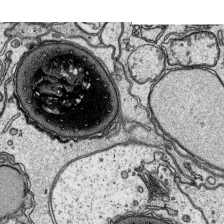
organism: Platynereis dumerilii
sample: Parapodia